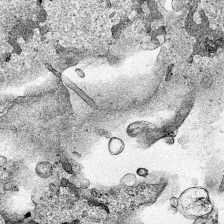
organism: Human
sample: Mitochondria in HCT116 cells